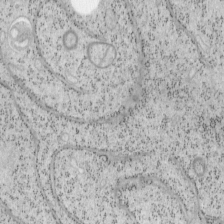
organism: Mouse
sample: OT-I killer T cells with ID8 ovarian cancer cells